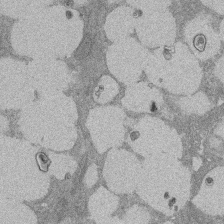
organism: Rat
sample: Salivary granule